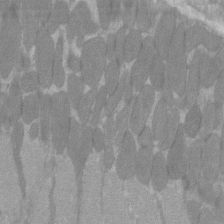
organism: C57BL Mouse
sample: Tibialis anterior muscle cell